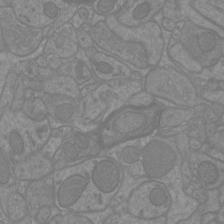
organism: Mouse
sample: Cortical neurons